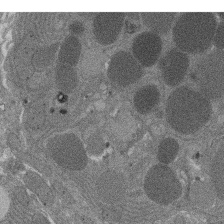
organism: Rat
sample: Salivary granule